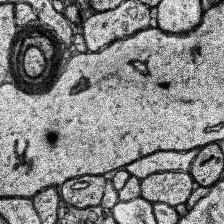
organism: Human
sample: Temporal Lobe